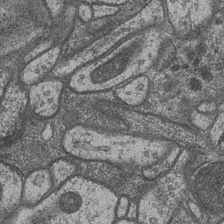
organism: Drosophila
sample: Optic medulla